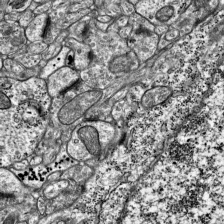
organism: Mouse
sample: Visual Cortex